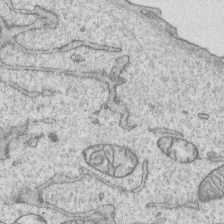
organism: Human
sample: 1205lu cells